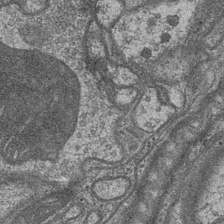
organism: Drosophila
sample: Optic medulla